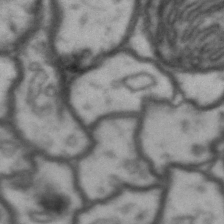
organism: Drosophila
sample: Brain